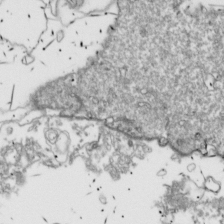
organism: Drosophila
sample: Cell division; meiosis; drosophila spermatocytes